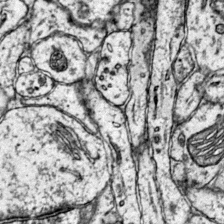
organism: Mouse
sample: Primary visual cortex